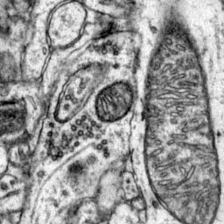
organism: Mouse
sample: Primary visual cortex